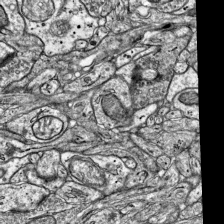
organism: Mouse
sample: Visual Cortex